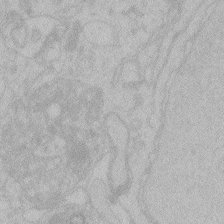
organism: Zebrafish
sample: Macrophage infected with Toxoplasma gondii